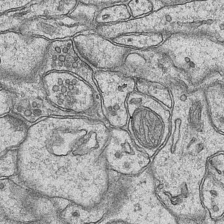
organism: Mouse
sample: CA1 Hippocampus